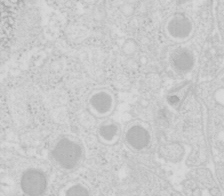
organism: Mouse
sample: Pancreas